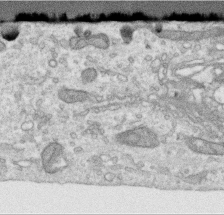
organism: Human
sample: Centriole in RPE cells